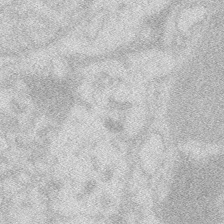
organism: Zebrafish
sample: Macrophage